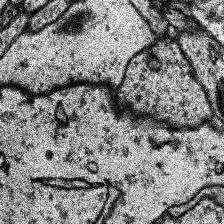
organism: Human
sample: Temporal Lobe